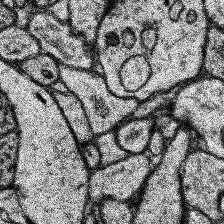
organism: Human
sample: Temporal Lobe